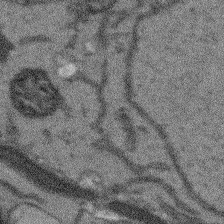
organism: Arabidopsis thaliana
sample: Root tip